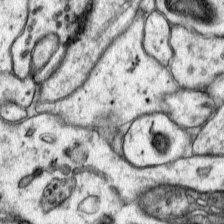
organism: Mouse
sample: Primary visual cortex